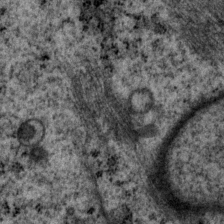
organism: P. pacificus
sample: Pharynx